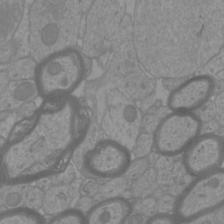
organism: Mouse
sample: Cortical neurons